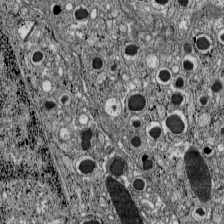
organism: C57BL Mouse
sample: Pancreatic islet